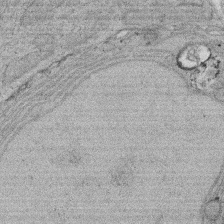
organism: Rat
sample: Salivary granule